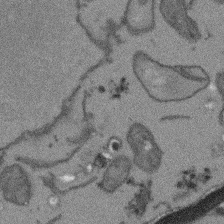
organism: Arabidopsis thaliana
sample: Root tip